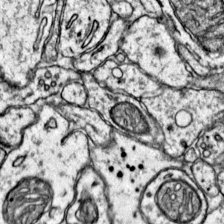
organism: Mouse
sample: Primary visual cortex